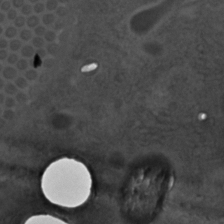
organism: C. elegans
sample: C. elegans embryo